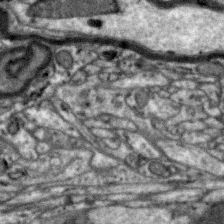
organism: Zebra finch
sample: Brain